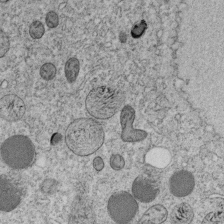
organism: C. elegans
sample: C. elegans embryo early stage